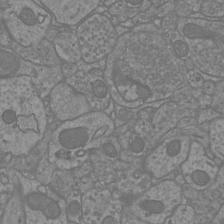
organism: Mouse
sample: Cortical neurons